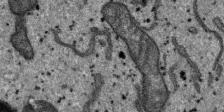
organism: Human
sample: Lung epithelial cells, uninfected (mock) control